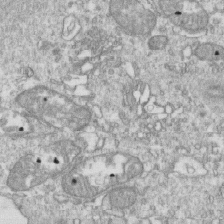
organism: Mouse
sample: Activated OT-1 CD8+ T cells